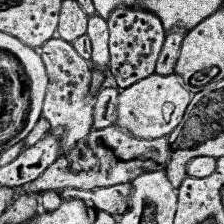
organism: Human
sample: Temporal Lobe